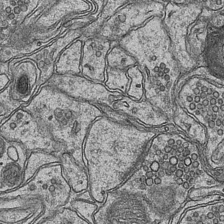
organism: Mouse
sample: CA1 Hippocampus